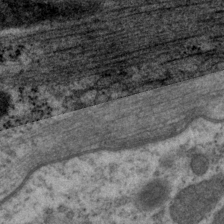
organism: P. pacificus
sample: Pharynx